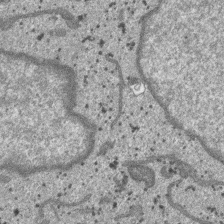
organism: Human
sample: Lung epithelial cells infected with SARS-CoV-2